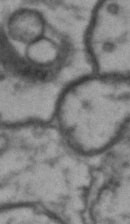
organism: Drosophila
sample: Brain